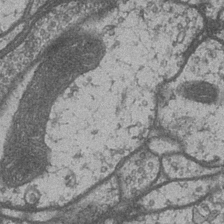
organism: Drosophila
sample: Optic medulla